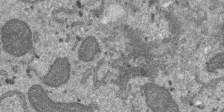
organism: Human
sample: Lung epithelial cells infected with SARS-CoV-2